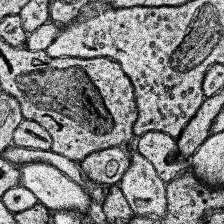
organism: Human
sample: Temporal Lobe